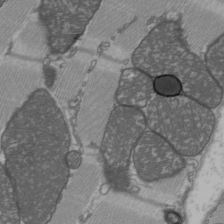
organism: C57BL Mouse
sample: Heart